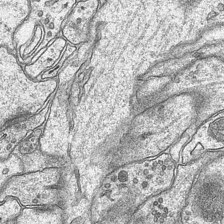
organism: Mouse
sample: CA1 Hippocampus